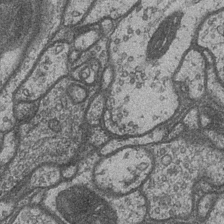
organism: Drosophila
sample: Optic medulla